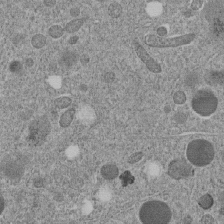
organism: C. elegans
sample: C. elegans embryo early stage